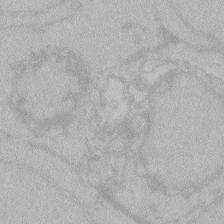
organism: Zebrafish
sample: Macrophage infected with Toxoplasma gondii